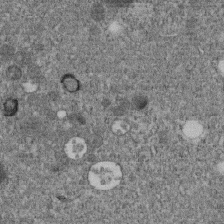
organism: C. elegans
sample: C. elegans embryo early stage